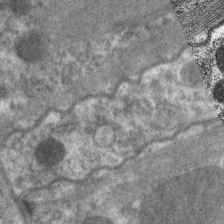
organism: C. elegans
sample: Pharynx